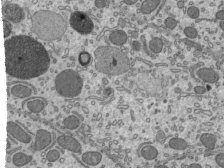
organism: Mouse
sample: Mouse epididymis efferent ductule cilia